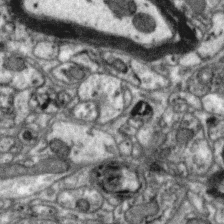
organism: Zebra finch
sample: Brain